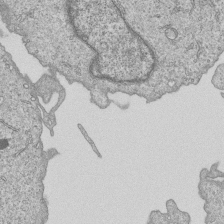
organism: Human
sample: MDA-MB-231 cells